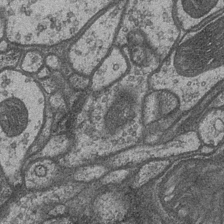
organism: Drosophila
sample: Optic medulla